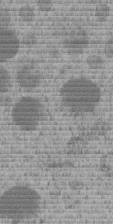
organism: C. elegans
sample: C. elegans embryo early stage